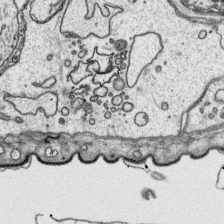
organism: Platynereis dumerilii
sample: Parapodia